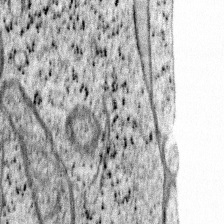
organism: Human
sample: HeLa cells